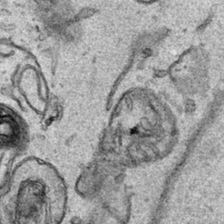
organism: Human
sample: Mitochondria in HCT116 cells